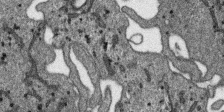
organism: Human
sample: Lung epithelial cells infected with SARS-CoV-2